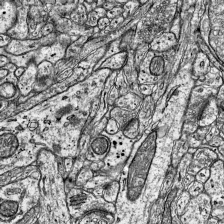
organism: Mouse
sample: Visual Cortex